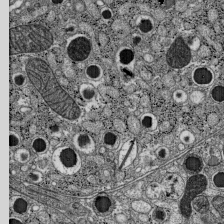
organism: C57BL Mouse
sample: Pancreatic islet